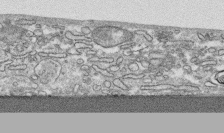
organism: Human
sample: CRL-1474